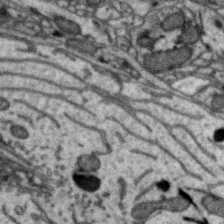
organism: Zebra finch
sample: Brain